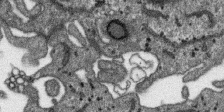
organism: Human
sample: Lung epithelial cells infected with SARS-CoV-2